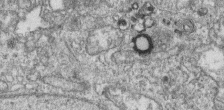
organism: Human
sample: HeLa cell HIV synapse